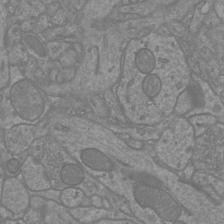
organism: Mouse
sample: Cortical neurons